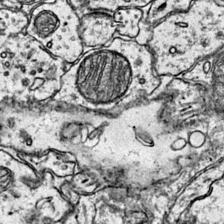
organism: Mouse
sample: Primary visual cortex